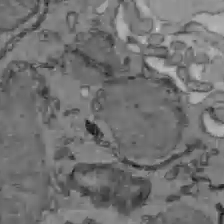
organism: C57BL Mouse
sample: Liver